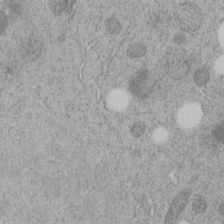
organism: C. elegans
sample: C. elegans embryo early stage